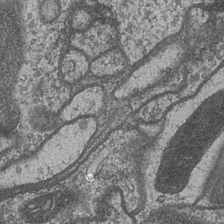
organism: Drosophila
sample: Optic medulla